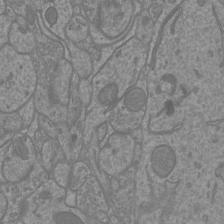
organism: Mouse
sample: Cortical neurons